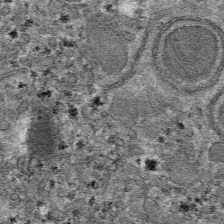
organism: Mouse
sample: Mouse hepatocytes